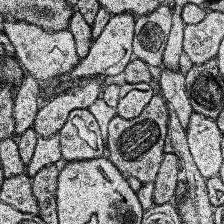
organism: Human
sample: Temporal Lobe